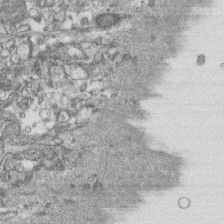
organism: Human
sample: CRL-1474